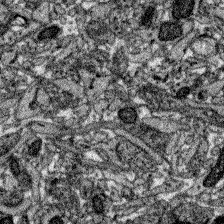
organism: Zebrafish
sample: Larval olfactory bulb